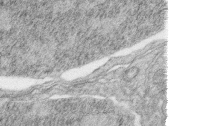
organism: Zebrafish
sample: synaptic ribbons in rod cells and cone cells